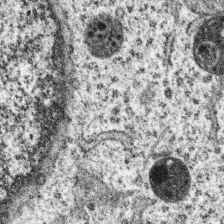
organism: Human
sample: HeLa cells